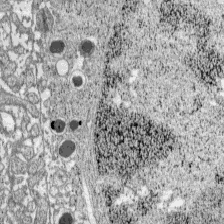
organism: C57BL Mouse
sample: Pancreatic islet